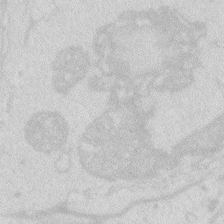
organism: Zebrafish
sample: Macrophage